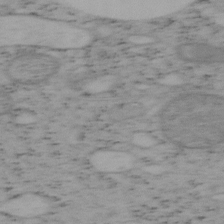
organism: Mouse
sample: OT-I killer T cells with ID8 ovarian cancer cells